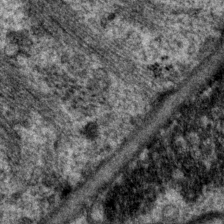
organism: P. pacificus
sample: Pharynx